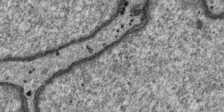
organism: Human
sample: Lung epithelial cells, uninfected (mock) control